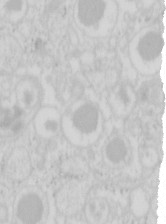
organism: Mouse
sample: Pancreas